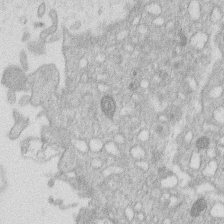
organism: Human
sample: Macrophage cells